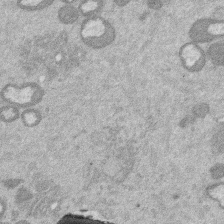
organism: Mouse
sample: Dividing mouse embryo 1 cell stage